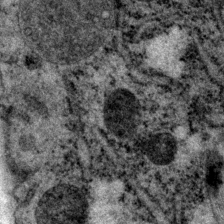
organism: P. pacificus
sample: Pharynx